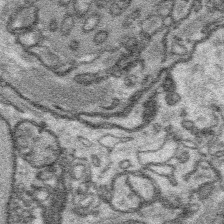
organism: Platynereis dumerilii